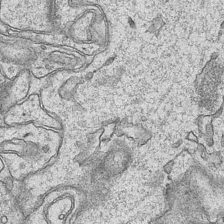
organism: Mouse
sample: CA1 Hippocampus